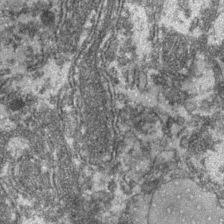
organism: Zebrafish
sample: Zebrafish embryo